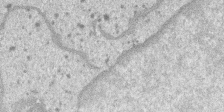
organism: Human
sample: Lung epithelial cells infected with SARS-CoV-2